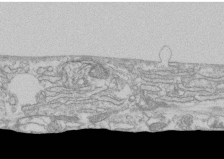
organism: Human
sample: CRL-1474